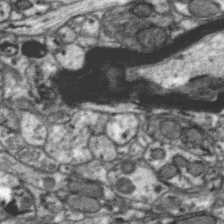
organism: Zebra finch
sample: Brain